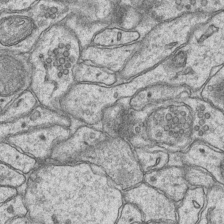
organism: Mouse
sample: CA1 Hippocampus